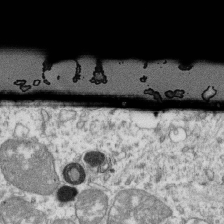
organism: Mouse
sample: Activated OT-1 CD8+ T cells